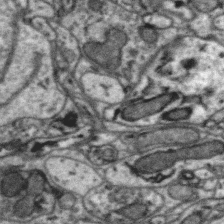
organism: Zebra finch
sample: Brain